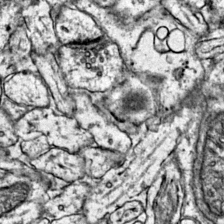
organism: Mouse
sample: Primary visual cortex